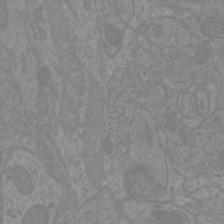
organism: Mouse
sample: Cortical neurons